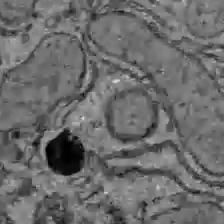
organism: C57BL Mouse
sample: Liver